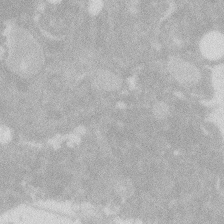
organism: Zebrafish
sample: Macrophage